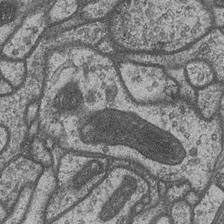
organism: Drosophila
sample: Optic medulla